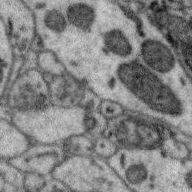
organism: Zebra finch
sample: Brain